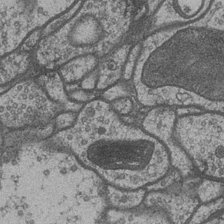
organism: Drosophila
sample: Optic medulla